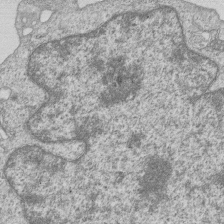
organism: Human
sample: MDA-MB-231 cells